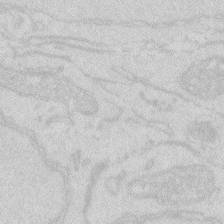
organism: Zebrafish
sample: Macrophage